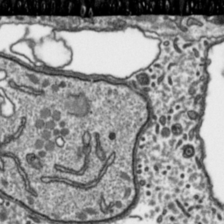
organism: Toxoplasma gondii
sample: Parasites in a vacuole inside a host cell